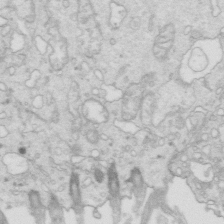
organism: Mouse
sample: Multiciliated cells